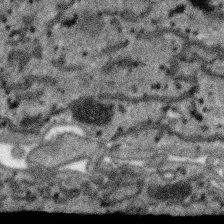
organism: Human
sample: Lung epithelial cells infected with SARS-CoV-2